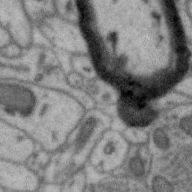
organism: Zebra finch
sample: Brain